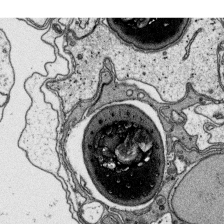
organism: Platynereis dumerilii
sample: Parapodia